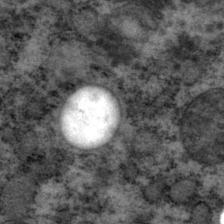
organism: P. pacificus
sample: Pharynx